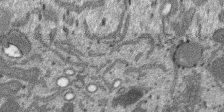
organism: Human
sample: Lung epithelial cells infected with SARS-CoV-2